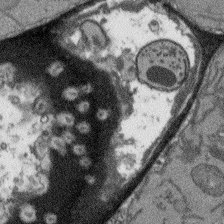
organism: Arabidopsis thaliana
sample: Root tip